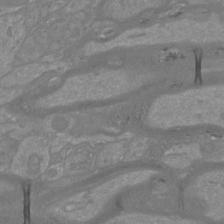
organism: Mouse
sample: Cortical neurons